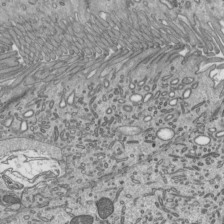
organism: Mouse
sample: Mouse epididymis efferent ductule cilia